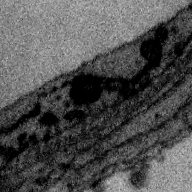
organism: Zebra finch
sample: Brain